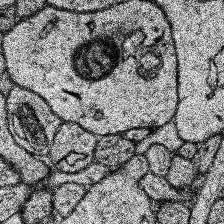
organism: Human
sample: Temporal Lobe